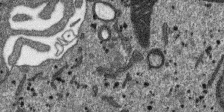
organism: Human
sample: Lung epithelial cells infected with SARS-CoV-2